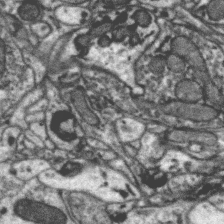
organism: Zebra finch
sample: Brain